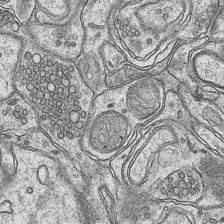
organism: Mouse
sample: CA1 Hippocampus